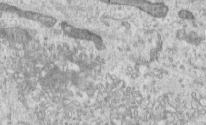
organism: Human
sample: Centriole in RPE cells